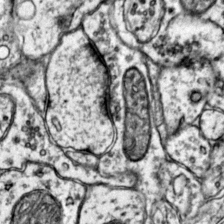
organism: Mouse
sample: Primary visual cortex